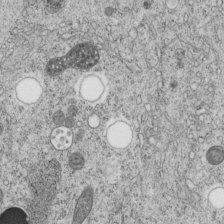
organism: C. elegans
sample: C. elegans embryo early stage